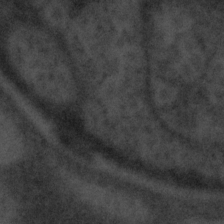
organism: Tuwongella immobilis